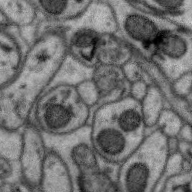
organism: Zebra finch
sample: Brain